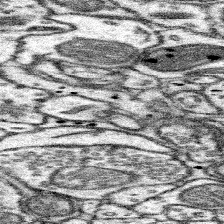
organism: Mouse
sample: Somatosensory cortex neuropil